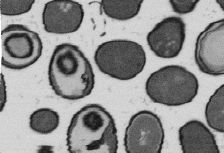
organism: B. subtilis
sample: Bacterial spore